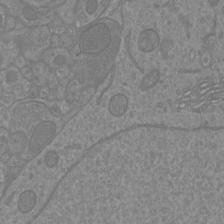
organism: Mouse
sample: Cortical neurons